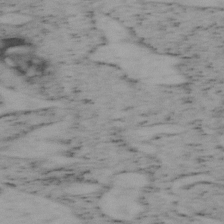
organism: Mouse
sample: OT-I killer T cells with ID8 ovarian cancer cells